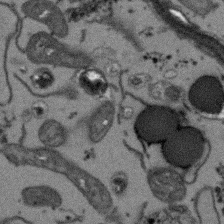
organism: Arabidopsis thaliana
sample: Root tip